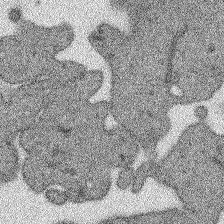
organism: Human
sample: HeLa cells